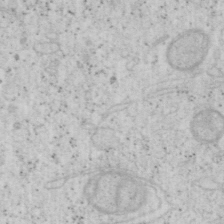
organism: Human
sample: HeLa cells